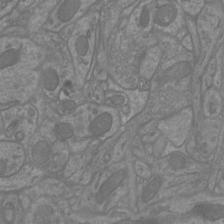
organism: Mouse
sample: Cortical neurons